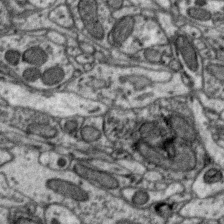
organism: Zebra finch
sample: Brain